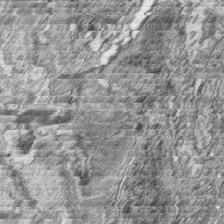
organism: Zebrafish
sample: synaptic ribbons in rod cells and cone cells